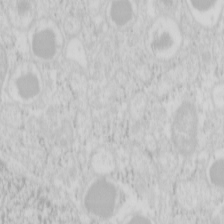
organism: Mouse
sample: Pancreas